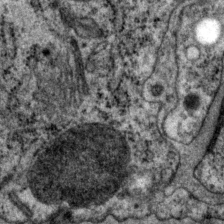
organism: P. pacificus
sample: Pharynx